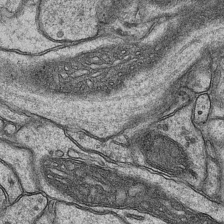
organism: Mouse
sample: CA1 Hippocampus